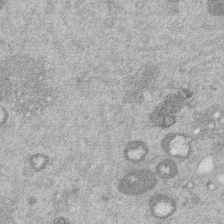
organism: Mouse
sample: Dividing mouse embryo 1 cell stage